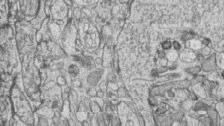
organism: Zebrafish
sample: synaptic ribbons in rod cells and cone cells